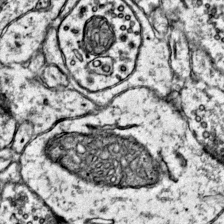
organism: Mouse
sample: Primary visual cortex